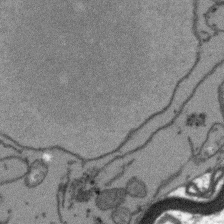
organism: Arabidopsis thaliana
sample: Root tip